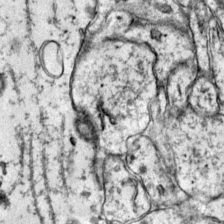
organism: Mouse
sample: Primary visual cortex